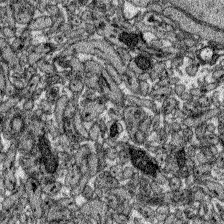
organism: Zebrafish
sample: Larval olfactory bulb